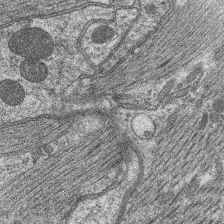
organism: C. elegans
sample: Pharynx